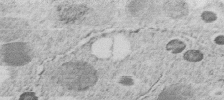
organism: C. elegans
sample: C. elegans embryo early stage